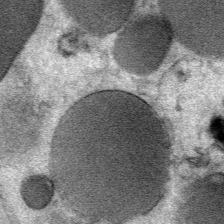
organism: Mouse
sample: Mouse Salivary gland